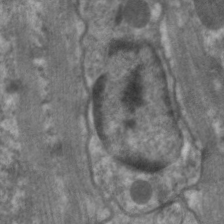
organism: C. elegans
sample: Pharynx